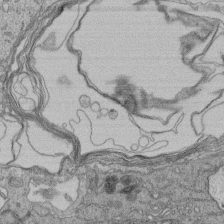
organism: Human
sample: Retinal organoid Rod and Cone cells